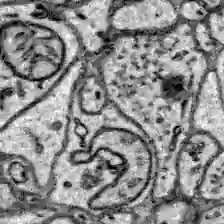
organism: Zebrafish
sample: Brain